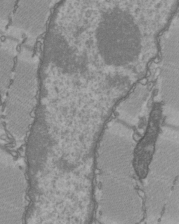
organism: C57BL Mouse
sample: Heart